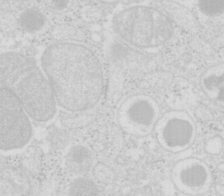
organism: Mouse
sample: Pancreas